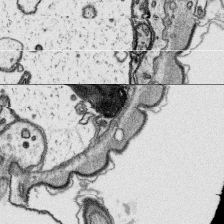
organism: Platynereis dumerilii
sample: Parapodia